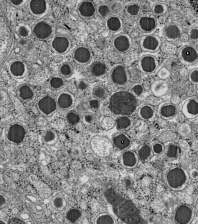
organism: C57BL Mouse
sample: Pancreatic islet